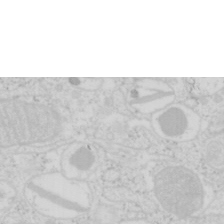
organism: Mouse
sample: Pancreas